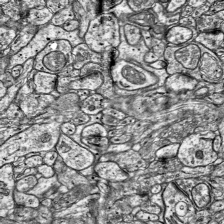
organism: Mouse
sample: Visual Cortex